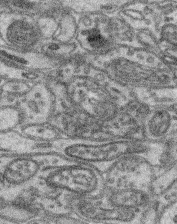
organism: Mouse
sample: Retina